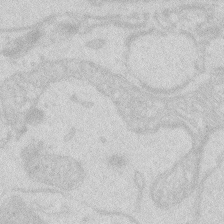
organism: Zebrafish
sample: Macrophage